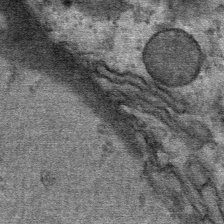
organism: Mouse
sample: Mouse Salivary gland